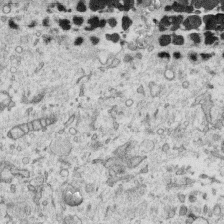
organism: Human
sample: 1205lu cells